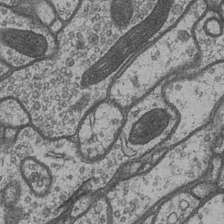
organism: Drosophila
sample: Optic medulla